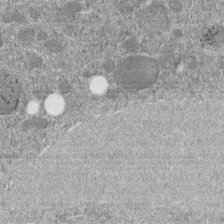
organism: C. elegans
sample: C. elegans embryo early stage